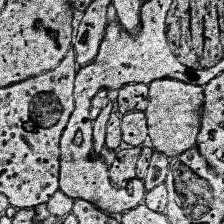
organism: Human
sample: Temporal Lobe